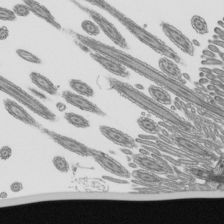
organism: Mouse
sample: Mouse epididymis efferent ductule cilia